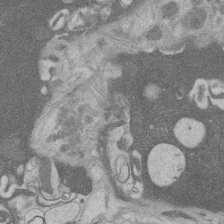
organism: Rat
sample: Salivary granule